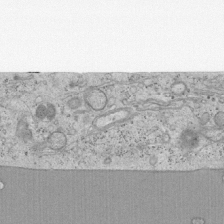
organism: Human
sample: HeLa cells